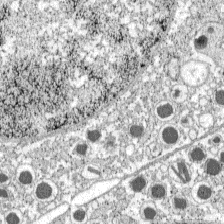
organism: C57BL Mouse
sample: Pancreatic islet